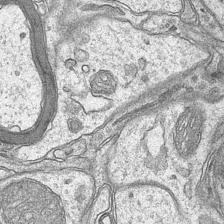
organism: Mouse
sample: CA1 Hippocampus